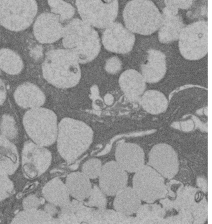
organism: Rat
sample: Salivary granule